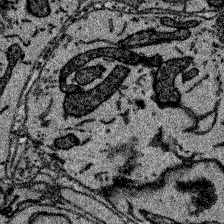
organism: Zebrafish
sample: Larval olfactory bulb